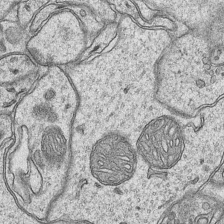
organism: Mouse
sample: CA1 Hippocampus